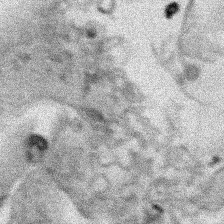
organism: Human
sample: Mitochondria in HCT116 cells